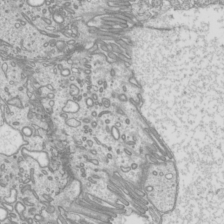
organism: Mouse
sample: Cilia; mouse epididymis